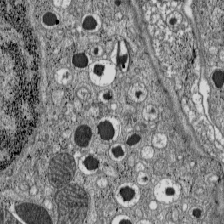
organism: C57BL Mouse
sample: Pancreatic islet